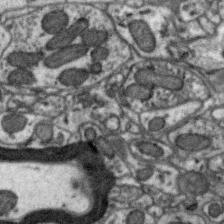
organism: Zebra finch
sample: Brain